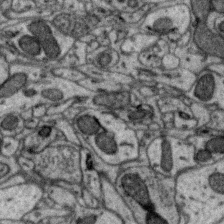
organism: Zebra finch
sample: Brain